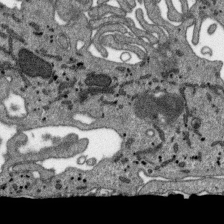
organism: Human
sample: Lung epithelial cells, uninfected (mock) control